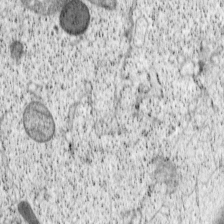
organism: African green monkey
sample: COS-7 cells